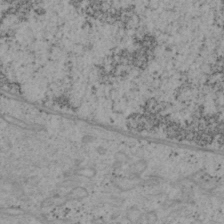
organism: Human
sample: HeLa cells